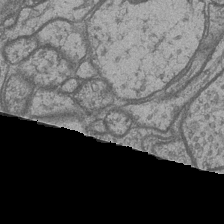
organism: Drosophila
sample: Optic medulla